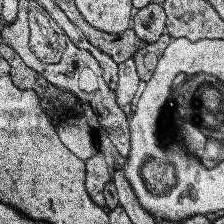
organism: Human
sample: Temporal Lobe